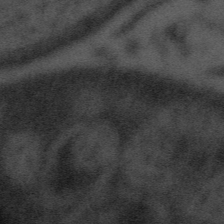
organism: Tuwongella immobilis